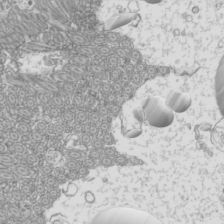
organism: Mouse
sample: Cilia; mouse epididymis